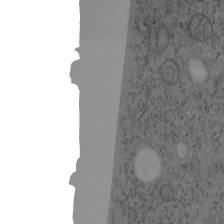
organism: Mouse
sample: OT-I killer T cells with ID8 ovarian cancer cells